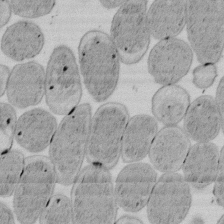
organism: E. coli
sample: Bacterial nucleoid